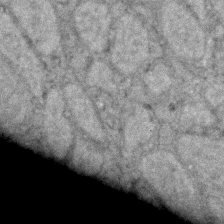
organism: Zebrafish